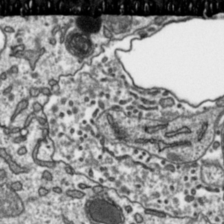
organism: Toxoplasma gondii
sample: Parasites in a vacuole inside a host cell